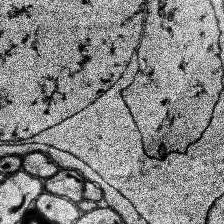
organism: Human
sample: Temporal Lobe